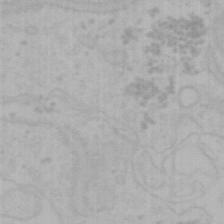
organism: Mouse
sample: Choroid plexus